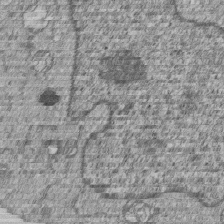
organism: Human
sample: MDA-MB-231 cells